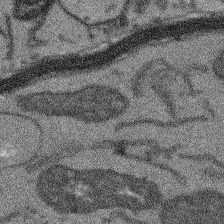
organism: Arabidopsis thaliana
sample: Root tip